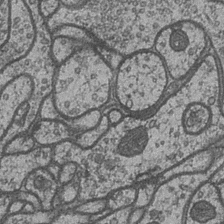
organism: Drosophila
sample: Optic medulla